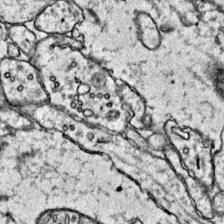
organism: Mouse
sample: Primary visual cortex